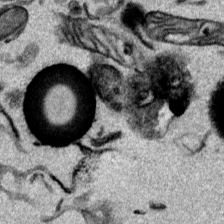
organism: Mouse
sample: Cancer cell death in ED-1 cells